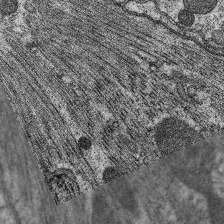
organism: C. elegans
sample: Pharynx